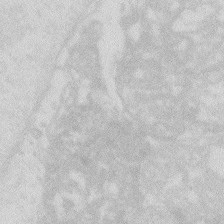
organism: Zebrafish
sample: Macrophage